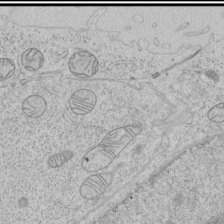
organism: Human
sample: Mitochondria in HCT116 cells